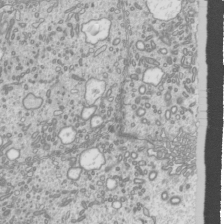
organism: Mouse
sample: Cilia; mouse epididymis